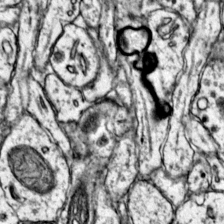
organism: Mouse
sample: Primary visual cortex